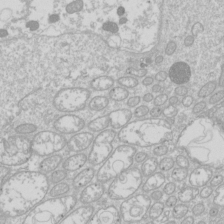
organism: Drosophila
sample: Cell division; meiosis; drosophila spermatocytes